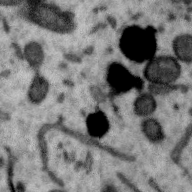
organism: Zebra finch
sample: Brain